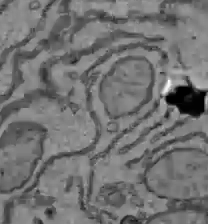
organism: C57BL Mouse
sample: Liver